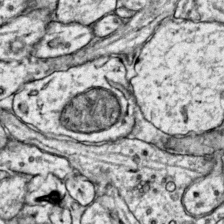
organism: Mouse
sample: Primary visual cortex